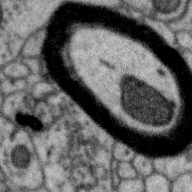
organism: Zebra finch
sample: Brain